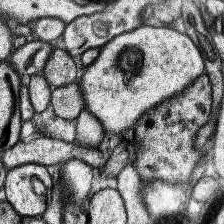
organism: Human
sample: Temporal Lobe